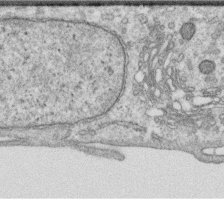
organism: Human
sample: Centriole in RPE cells